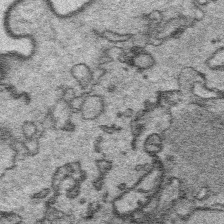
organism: Platynereis dumerilii